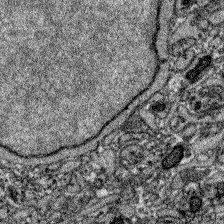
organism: Zebrafish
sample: Larval olfactory bulb